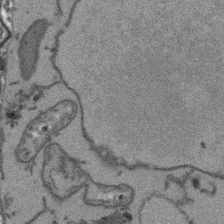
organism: Arabidopsis thaliana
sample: Root tip